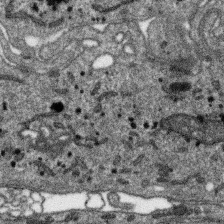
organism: Human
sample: Lung epithelial cells infected with SARS-CoV-2